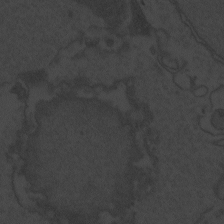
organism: Zebrafish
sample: Macrophage infected with Toxoplasma gondii